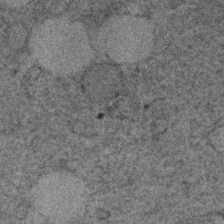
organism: Human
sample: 1205lu cells